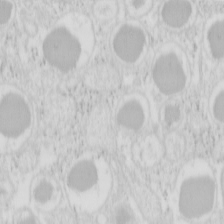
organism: Mouse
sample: Pancreas